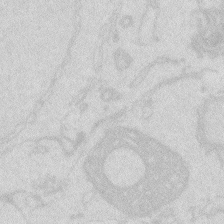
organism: Zebrafish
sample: Macrophage